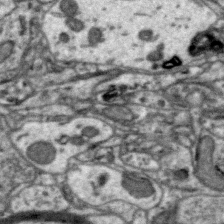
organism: Zebra finch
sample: Brain